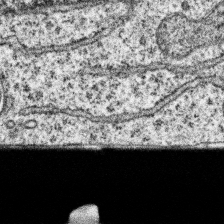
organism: Human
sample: HeLa cells